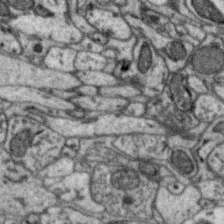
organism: Zebra finch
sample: Brain